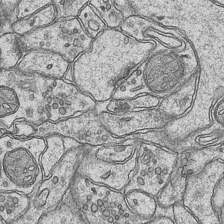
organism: Mouse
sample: CA1 Hippocampus